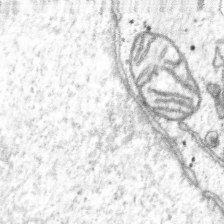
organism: Human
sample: HeLa cells